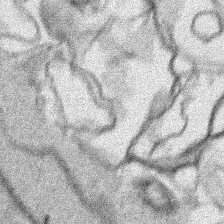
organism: Human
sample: Mitochondria in HCT116 cells